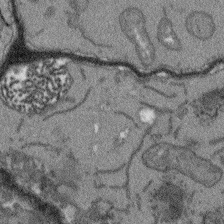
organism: Arabidopsis thaliana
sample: Root tip